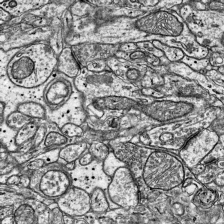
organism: Mouse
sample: Visual Cortex